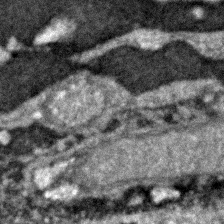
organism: Zebrafish